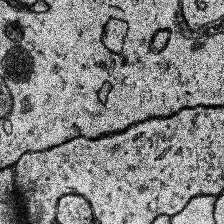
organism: Human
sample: Temporal Lobe